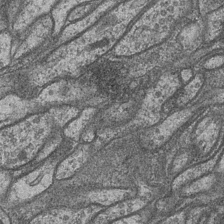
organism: Drosophila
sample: Optic medulla